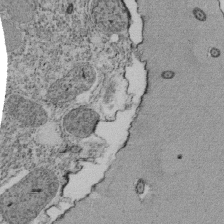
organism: Tetrahymena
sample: Cilia in tetrahymena